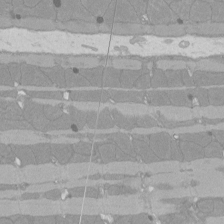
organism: Rat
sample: Left ventricle